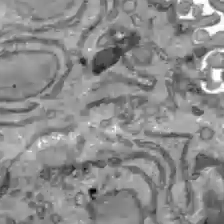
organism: C57BL Mouse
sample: Liver